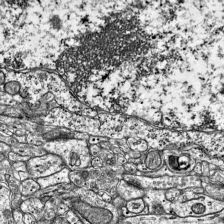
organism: Mouse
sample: Visual Cortex